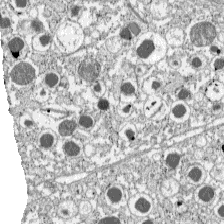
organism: C57BL Mouse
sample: Pancreatic islet